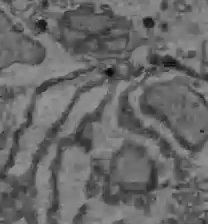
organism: C57BL Mouse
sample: Liver